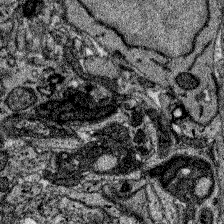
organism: Zebrafish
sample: Larval olfactory bulb